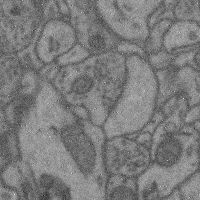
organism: Mouse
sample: Cerebral cortex